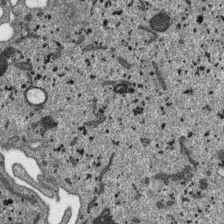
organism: Human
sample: Lung epithelial cells infected with SARS-CoV-2